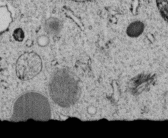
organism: C. elegans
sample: C. elegans embryo early stage